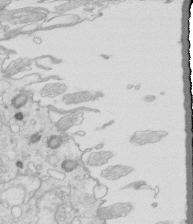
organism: Mouse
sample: Multiciliated cells